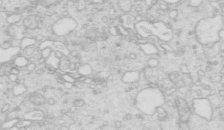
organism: Mouse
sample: Multiciliated cells